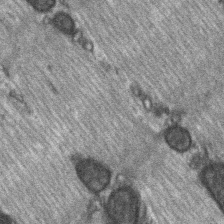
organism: C57BL Mouse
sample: Soleus